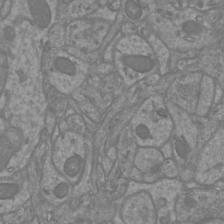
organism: Mouse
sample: Cortical neurons